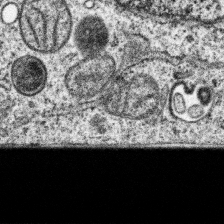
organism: Human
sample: HeLa cells